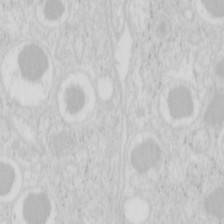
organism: Mouse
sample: Pancreas